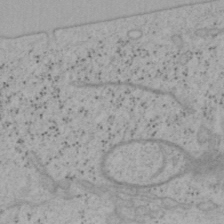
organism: Human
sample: HeLa cells